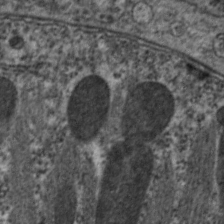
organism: C. elegans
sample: Pharynx